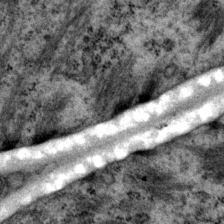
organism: P. pacificus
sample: Pharynx